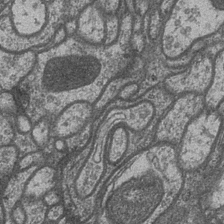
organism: Drosophila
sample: Optic medulla